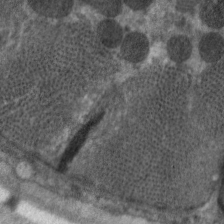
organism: C. elegans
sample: Pharynx